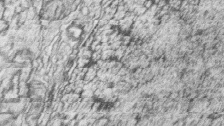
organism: Zebrafish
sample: synaptic ribbons in rod cells and cone cells